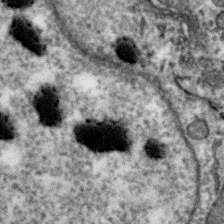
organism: Zebra finch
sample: Brain